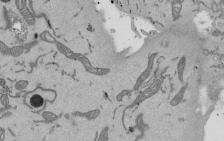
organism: Mouse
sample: ED-1 cell nuclei; centrioles